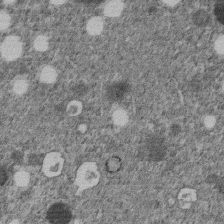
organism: C. elegans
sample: C. elegans embryo early stage